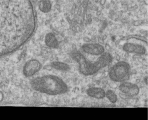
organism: Human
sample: Centriole in RPE cells